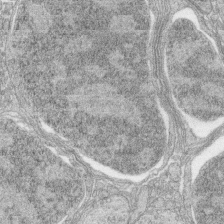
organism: Zebrafish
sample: synaptic ribbons in rod cells and cone cells